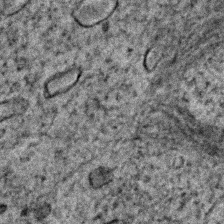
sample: Trachea